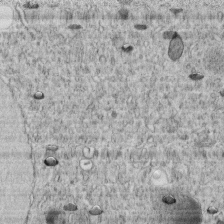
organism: C. elegans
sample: C. elegans embryo early stage